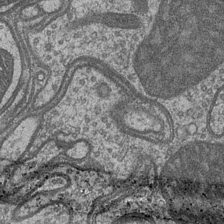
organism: Drosophila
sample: Optic medulla